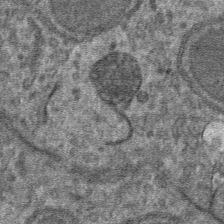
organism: Mouse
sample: Mouse hepatocytes